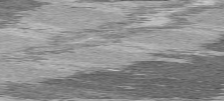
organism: C57BL Mouse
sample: Heart